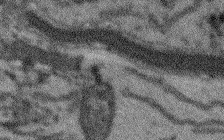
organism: Arabidopsis thaliana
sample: Root tip